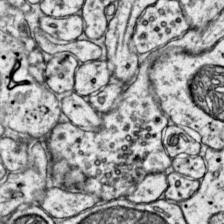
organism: Mouse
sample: Primary visual cortex